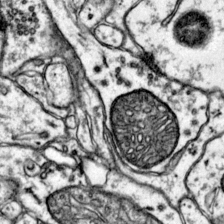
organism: Mouse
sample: Primary visual cortex